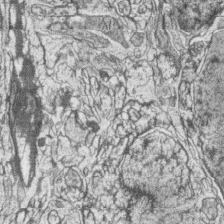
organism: Zebrafish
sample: synaptic ribbons in rod cells and cone cells